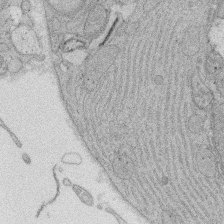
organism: Rat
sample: Salivary granule